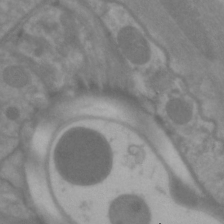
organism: C. elegans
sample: Pharynx